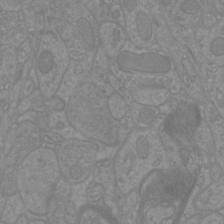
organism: Mouse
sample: Cortical neurons